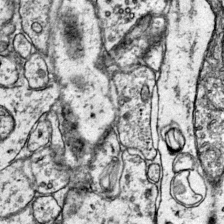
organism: Mouse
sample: Primary visual cortex